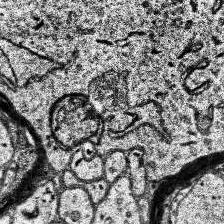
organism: Human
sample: Temporal Lobe